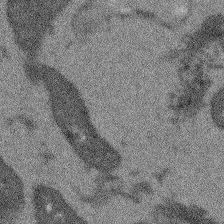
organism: Arabidopsis thaliana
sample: Root tip